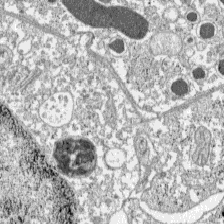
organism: C57BL Mouse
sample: Pancreatic islet